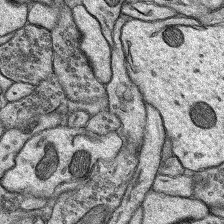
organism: Rat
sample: Hippocampus